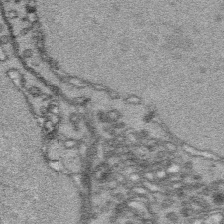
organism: Platynereis dumerilii